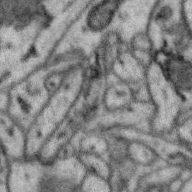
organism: Zebra finch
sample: Brain